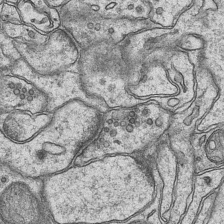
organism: Mouse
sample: CA1 Hippocampus